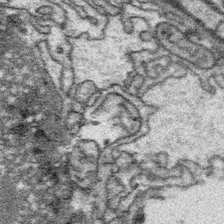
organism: Platynereis dumerilii